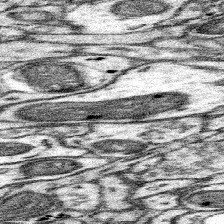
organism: Mouse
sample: Somatosensory cortex neuropil